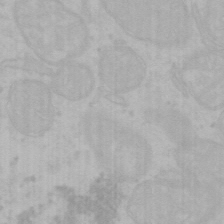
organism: Mouse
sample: Choroid plexus